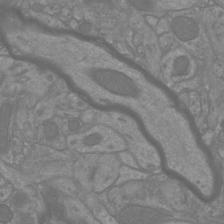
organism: Mouse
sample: Cortical neurons